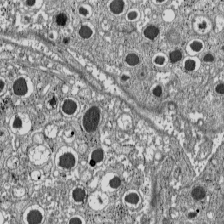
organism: C57BL Mouse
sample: Pancreatic islet